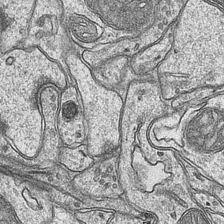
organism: Mouse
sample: CA1 Hippocampus